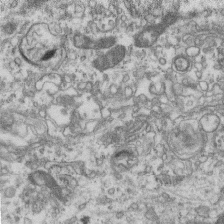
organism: Mouse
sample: Centriole in ependymal cells